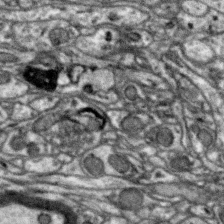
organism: Zebra finch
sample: Brain